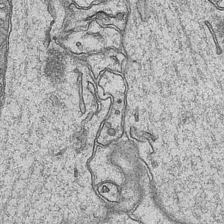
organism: Mouse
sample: CA1 Hippocampus